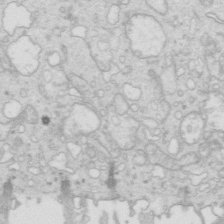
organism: Mouse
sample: Multiciliated cells